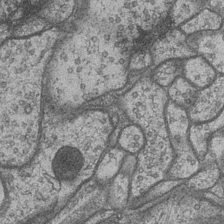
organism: Drosophila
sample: Optic medulla